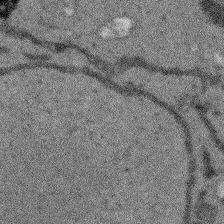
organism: Arabidopsis thaliana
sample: Root tip